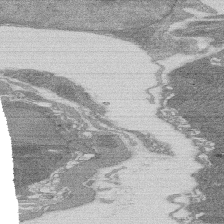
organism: Rat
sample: Salivary granule